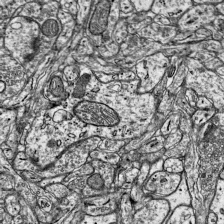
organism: Mouse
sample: Visual Cortex